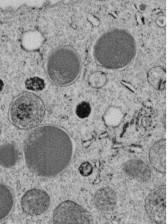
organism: C. elegans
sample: C. elegans embryo early stage